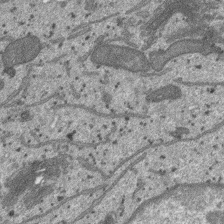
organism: Human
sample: Lung epithelial cells infected with SARS-CoV-2